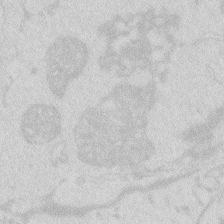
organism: Zebrafish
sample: Macrophage